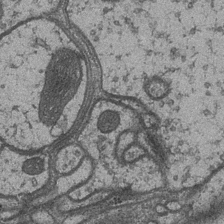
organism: Drosophila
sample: Optic medulla